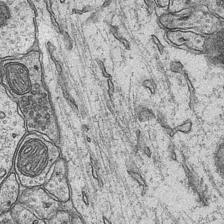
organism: Mouse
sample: CA1 Hippocampus